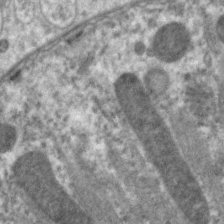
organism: C. elegans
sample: Pharynx